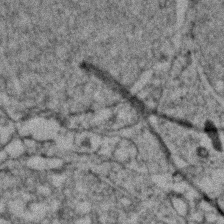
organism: Zebrafish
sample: Zebrafish embryo